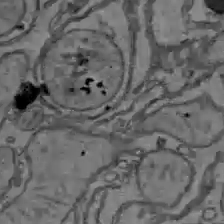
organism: C57BL Mouse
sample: Liver